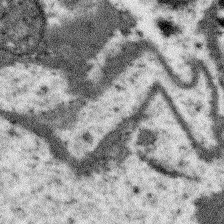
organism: Arabidopsis thaliana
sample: Root tip